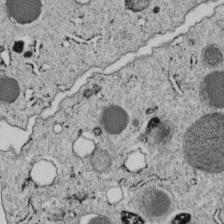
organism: C. elegans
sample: C. elegans embryo early stage